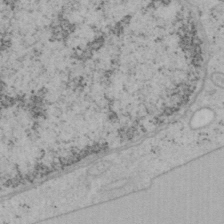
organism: Human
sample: HeLa cells